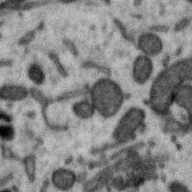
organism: Zebra finch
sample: Brain